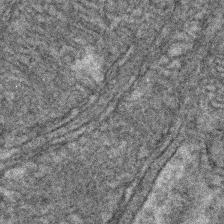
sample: Kidney